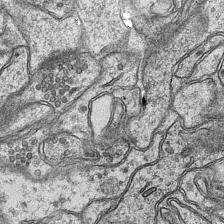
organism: Mouse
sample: CA1 Hippocampus